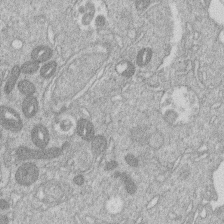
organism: Human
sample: Macrophage cells